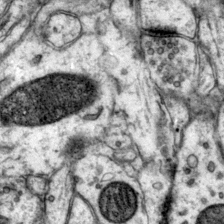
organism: Mouse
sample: Primary visual cortex